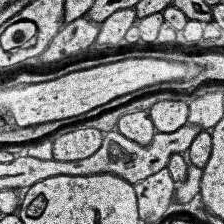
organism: Human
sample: Temporal Lobe